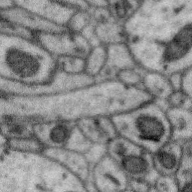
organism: Zebra finch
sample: Brain